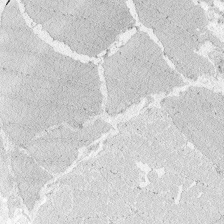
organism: Zebrafish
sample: Whole-Brain